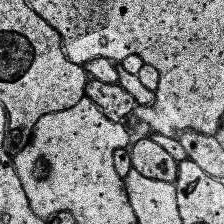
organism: Human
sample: Temporal Lobe